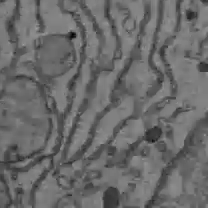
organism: C57BL Mouse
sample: Liver